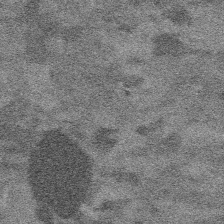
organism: Platynereis dumerilii